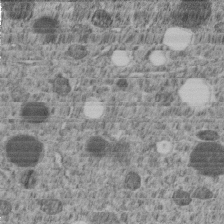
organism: C. elegans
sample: C. elegans embryo early stage